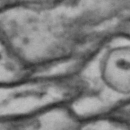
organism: Drosophila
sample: Brain